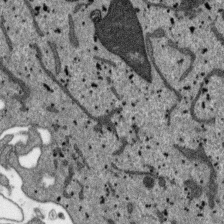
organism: Human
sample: Lung epithelial cells, uninfected (mock) control